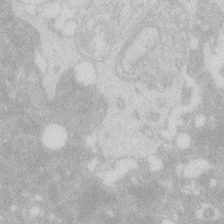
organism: Zebrafish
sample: Macrophage